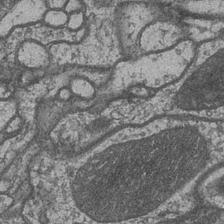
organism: Drosophila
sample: Optic medulla